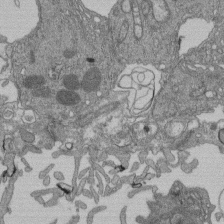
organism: Human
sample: Retinal organoid Rod and Cone cells